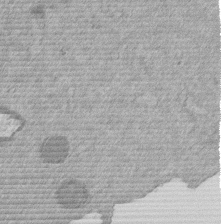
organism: Mouse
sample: Dividing mouse embryo 1 cell stage